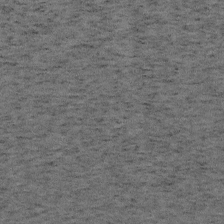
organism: Mouse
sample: OT-I killer T cells with ID8 ovarian cancer cells